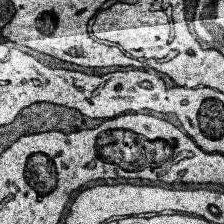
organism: Human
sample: Temporal Lobe